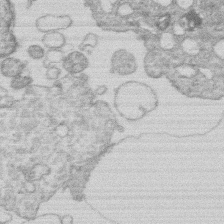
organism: Human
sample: Macrophage cells